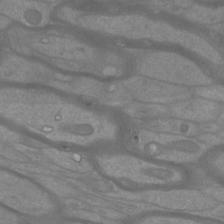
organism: Mouse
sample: Cortical neurons